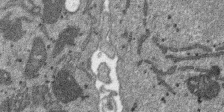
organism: Human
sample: Lung epithelial cells infected with SARS-CoV-2